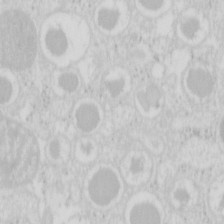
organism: Mouse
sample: Pancreas